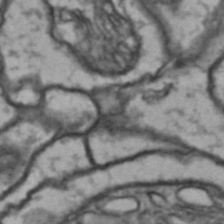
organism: Drosophila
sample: Brain